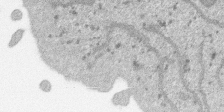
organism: Human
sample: Lung epithelial cells infected with SARS-CoV-2